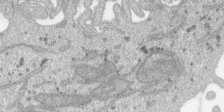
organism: Human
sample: Lung epithelial cells infected with SARS-CoV-2